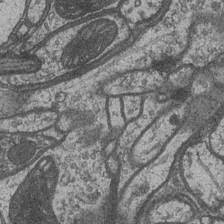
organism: Drosophila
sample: Optic medulla